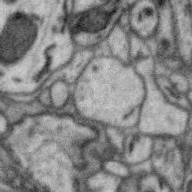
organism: Zebra finch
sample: Brain